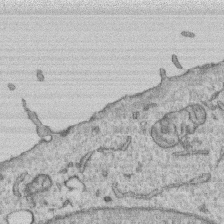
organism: Human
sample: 1205lu cells